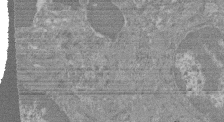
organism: Mouse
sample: Glomerulus